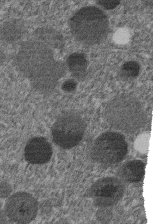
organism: C. elegans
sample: C. elegans embryo early stage